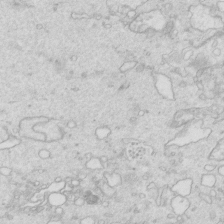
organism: Mouse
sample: Multiciliated cells